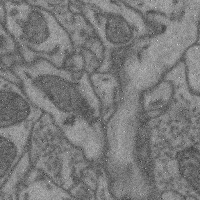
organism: Mouse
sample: Cerebral cortex